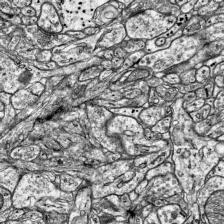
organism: Mouse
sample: Visual Cortex